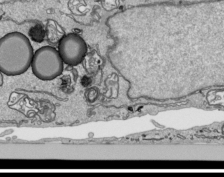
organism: Human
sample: Mitochondria in HCT116 cells